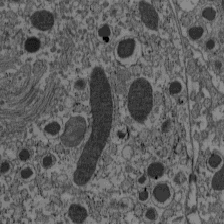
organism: C57BL Mouse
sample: Pancreatic islet